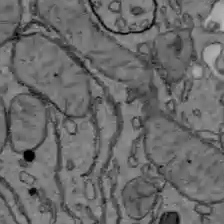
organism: C57BL Mouse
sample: Liver